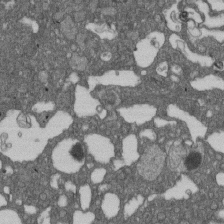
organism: Drosophila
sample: Nephrocyte